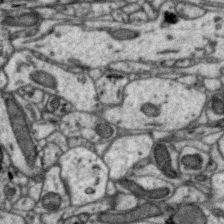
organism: Zebra finch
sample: Brain